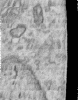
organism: Human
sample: Centriole in RPE cells